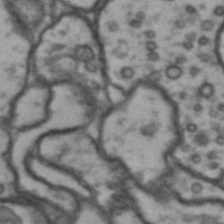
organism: Drosophila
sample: Brain